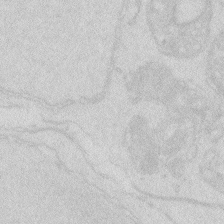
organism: Zebrafish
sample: Macrophage